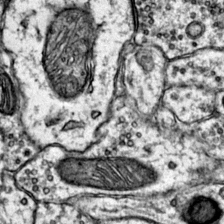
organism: Mouse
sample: Primary visual cortex